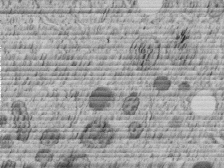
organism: C. elegans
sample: C. elegans embryo early stage